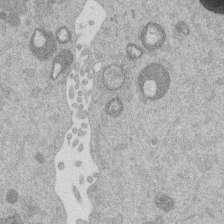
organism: Mouse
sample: Dividing mouse embryo 1 cell stage